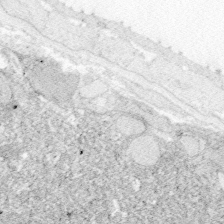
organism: Zebrafish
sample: Whole-Brain